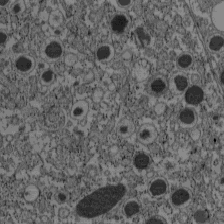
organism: C57BL Mouse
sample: Pancreatic islet